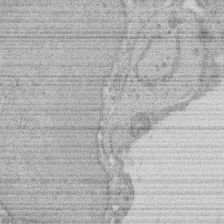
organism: Rat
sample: Salivary granule